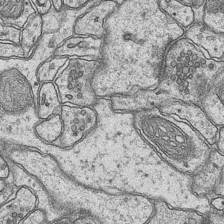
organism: Mouse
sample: CA1 Hippocampus